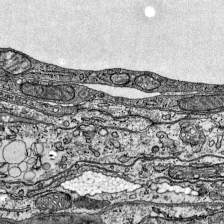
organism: Mouse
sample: Visual Cortex